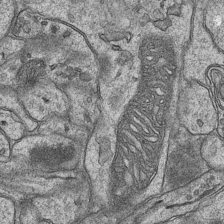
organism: Mouse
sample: CA1 Hippocampus